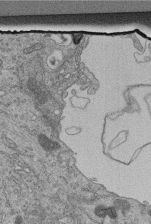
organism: Human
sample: Retinal organoid Rod and Cone cells